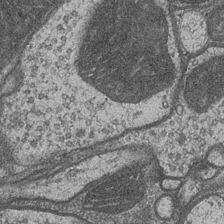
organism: Drosophila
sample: Optic medulla